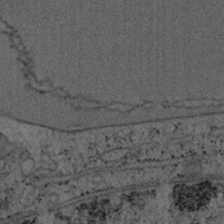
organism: Human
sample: HeLa cells